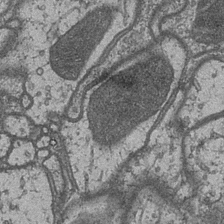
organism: Drosophila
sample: Optic medulla